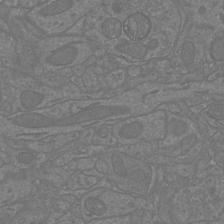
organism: Mouse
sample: Cortical neurons